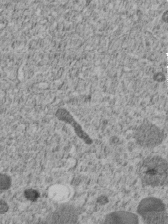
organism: C. elegans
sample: C. elegans embryo early stage